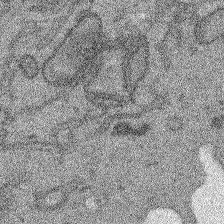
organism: Human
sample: HeLa cells